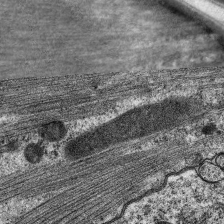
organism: C. elegans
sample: Pharynx